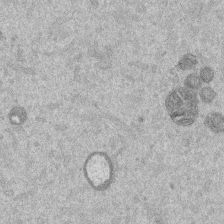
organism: Mouse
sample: Dividing mouse embryo 1 cell stage